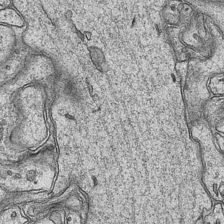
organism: Mouse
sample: CA1 Hippocampus